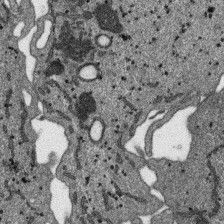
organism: Human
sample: Lung epithelial cells infected with SARS-CoV-2